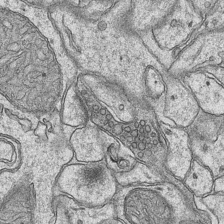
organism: Mouse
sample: CA1 Hippocampus